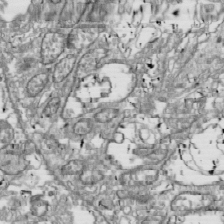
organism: Drosophila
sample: Cell division; meiosis; drosophila spermatocytes